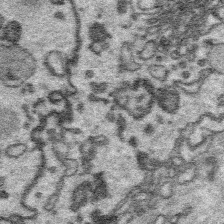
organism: Platynereis dumerilii